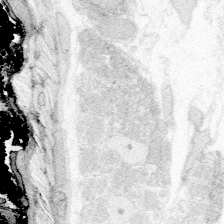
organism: Zebrafish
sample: Whole-Brain